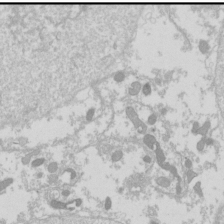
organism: Drosophila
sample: Cell division; meiosis; drosophila spermatocytes